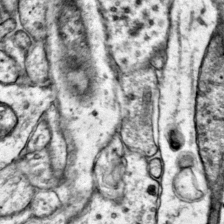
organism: Mouse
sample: Primary visual cortex